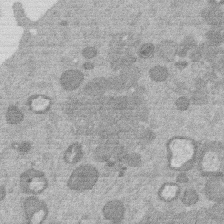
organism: Mouse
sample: Dividing mouse embryo 1 cell stage